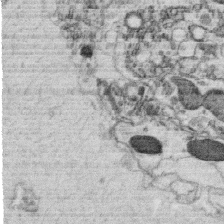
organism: C. elegans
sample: C. elegans oocyte; sperm cells